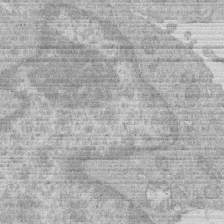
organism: Human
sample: Macrophage cells